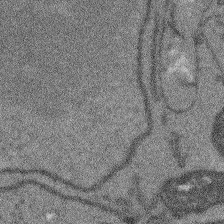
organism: Arabidopsis thaliana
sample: Root tip